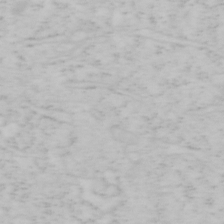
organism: Mouse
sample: OT-I killer T cells with ID8 ovarian cancer cells